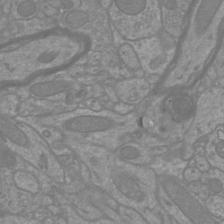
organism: Mouse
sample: Cortical neurons